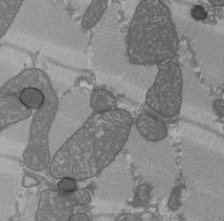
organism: C57BL Mouse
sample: Heart